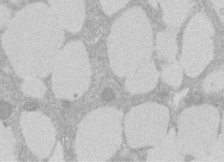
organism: Rat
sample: Salivary granule